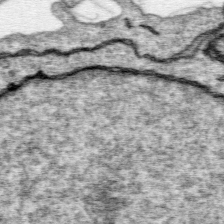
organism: Human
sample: HeLa cells